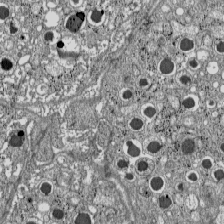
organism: C57BL Mouse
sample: Pancreatic islet